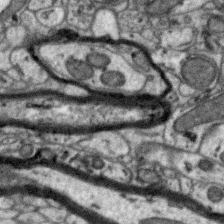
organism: Zebra finch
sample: Brain